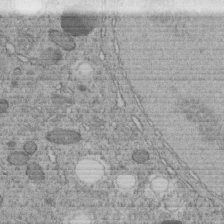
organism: C. elegans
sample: C. elegans embryo early stage